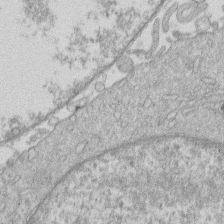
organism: Human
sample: Macrophage cells